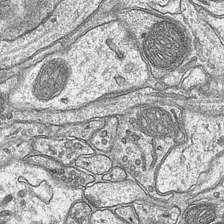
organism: Mouse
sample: CA1 Hippocampus